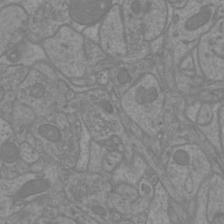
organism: Mouse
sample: Cortical neurons